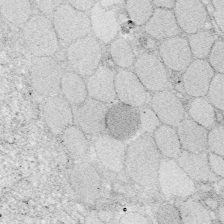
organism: Zebrafish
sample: Whole-Brain